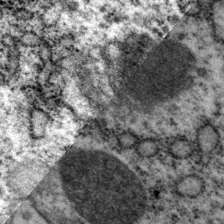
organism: P. pacificus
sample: Pharynx